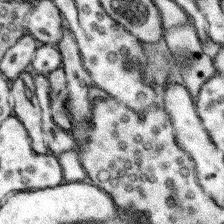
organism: Mouse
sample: Somatosensory cortex neuropil